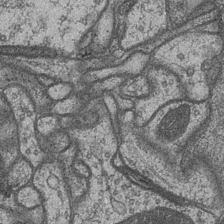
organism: Drosophila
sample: Optic medulla